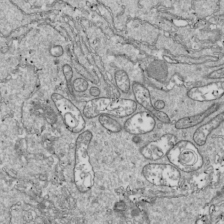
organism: Drosophila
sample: Cell division; meiosis; drosophila spermatocytes